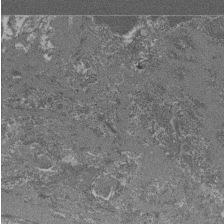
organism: Mouse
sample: Glomerulus